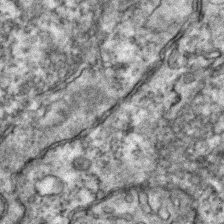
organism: Zebrafish